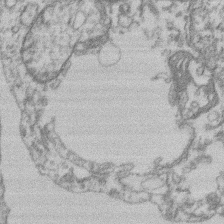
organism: Mouse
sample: T cell stromal cell synapse